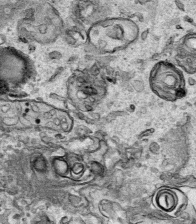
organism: Human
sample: Mitochondria in HCT116 cells